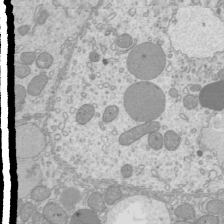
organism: Mouse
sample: Cilia; mouse epididymis